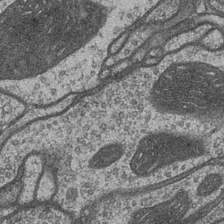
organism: Drosophila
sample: Optic medulla